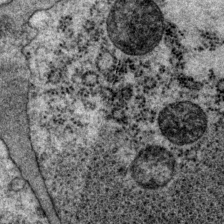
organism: P. pacificus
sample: Pharynx